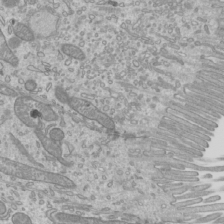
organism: Mouse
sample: Cilia; mouse epididymis